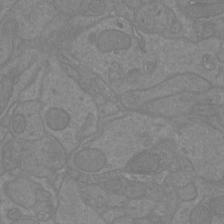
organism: Mouse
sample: Cortical neurons